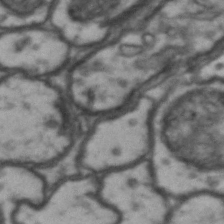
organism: Drosophila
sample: Brain